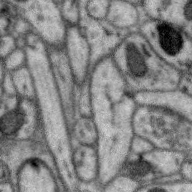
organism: Zebra finch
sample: Brain